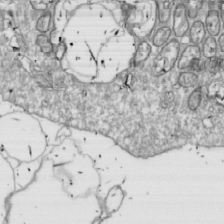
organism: Drosophila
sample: Cell division; meiosis; drosophila spermatocytes